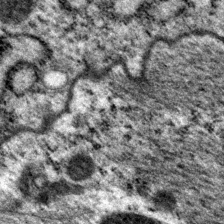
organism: P. pacificus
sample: Pharynx